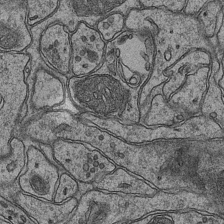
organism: Mouse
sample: CA1 Hippocampus